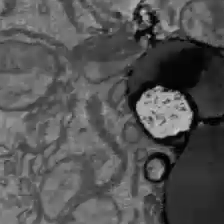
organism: C57BL Mouse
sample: Liver